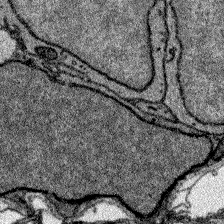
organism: Zebrafish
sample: Larval olfactory bulb